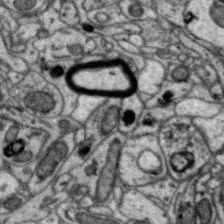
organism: Zebra finch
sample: Brain